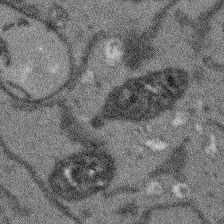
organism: Arabidopsis thaliana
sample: Root tip